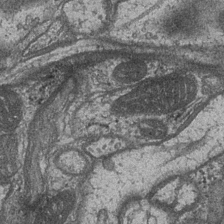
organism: Drosophila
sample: Optic medulla